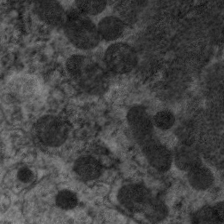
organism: C. elegans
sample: Pharynx